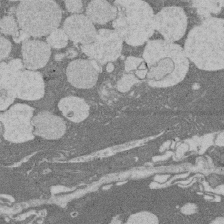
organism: Rat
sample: Salivary granule